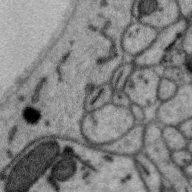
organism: Zebra finch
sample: Brain